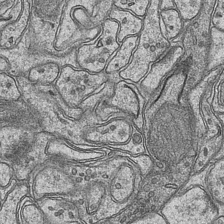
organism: Mouse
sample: CA1 Hippocampus